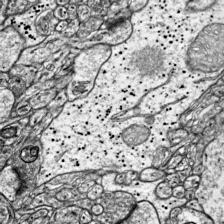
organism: Mouse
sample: Visual Cortex